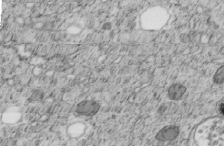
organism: C. elegans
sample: C. elegans embryo early stage